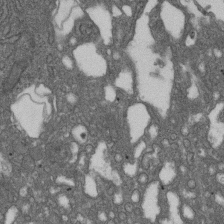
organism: Drosophila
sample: Nephrocyte